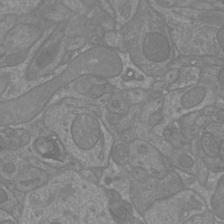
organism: Mouse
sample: Cortical neurons